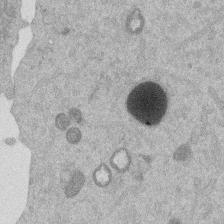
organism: Mouse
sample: Dividing mouse embryo 1 cell stage